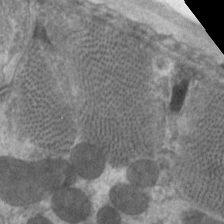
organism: C. elegans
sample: Pharynx